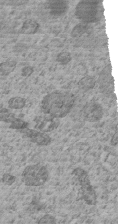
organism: C. elegans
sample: C. elegans embryo early stage